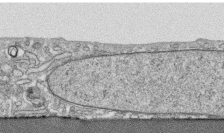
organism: Human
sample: CRL-1474